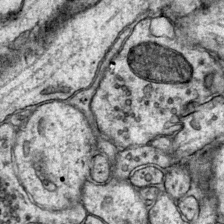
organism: Mouse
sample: Primary visual cortex